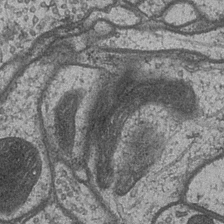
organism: Drosophila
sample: Optic medulla